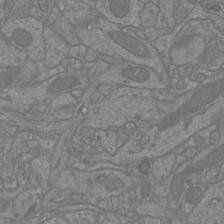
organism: Mouse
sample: Cortical neurons